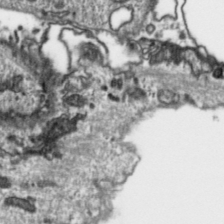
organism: Toxoplasma gondii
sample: Parasites in a vacuole inside a host cell